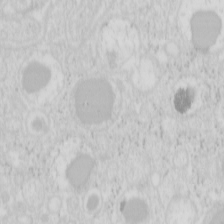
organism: Mouse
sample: Pancreas